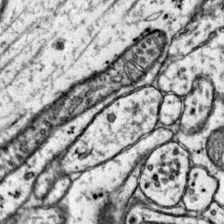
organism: Mouse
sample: Primary visual cortex